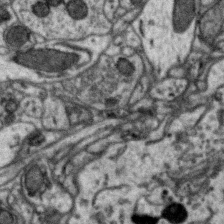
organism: Zebra finch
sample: Brain